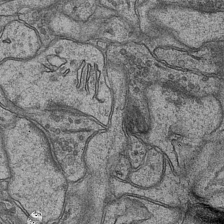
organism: Mouse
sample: CA1 Hippocampus